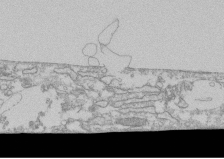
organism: Human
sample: CRL-1474